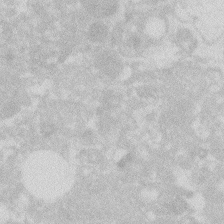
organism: Zebrafish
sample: Macrophage